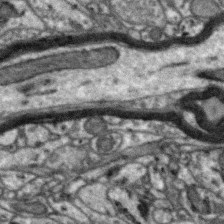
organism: Zebra finch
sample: Brain